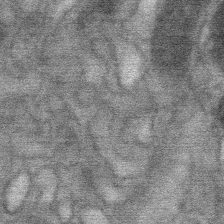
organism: Mouse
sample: Mouse Salivary gland